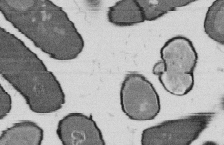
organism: B. subtilis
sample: Bacterial spore